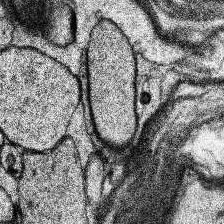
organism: Human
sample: Temporal Lobe